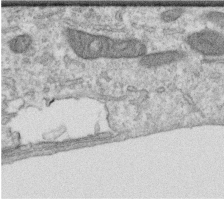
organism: Human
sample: Centriole in RPE cells